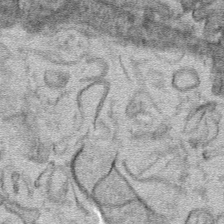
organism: Mouse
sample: Mouse hepatocytes